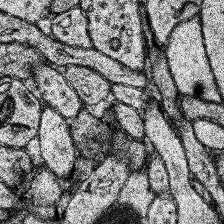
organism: Human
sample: Temporal Lobe